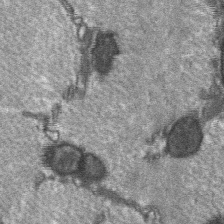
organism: C57BL Mouse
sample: Soleus